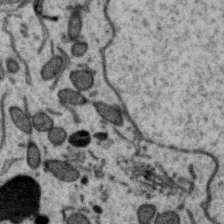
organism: Zebra finch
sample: Brain